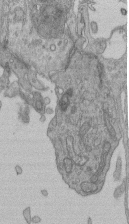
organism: Human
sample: Retinal organoid Rod and Cone cells